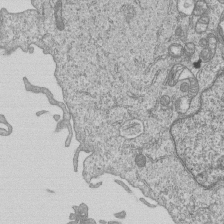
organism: Human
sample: MDA-MB-231 cells